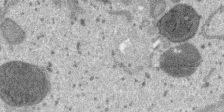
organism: Human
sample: Lung epithelial cells infected with SARS-CoV-2